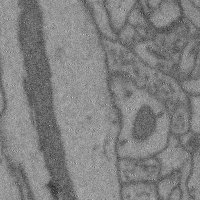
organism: Mouse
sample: Cerebral cortex